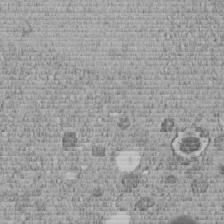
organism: C. elegans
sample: C. elegans embryo early stage